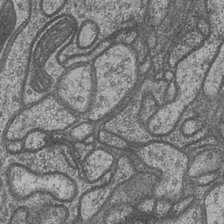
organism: Drosophila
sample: Optic medulla